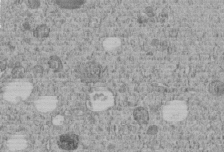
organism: C. elegans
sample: C. elegans embryo early stage